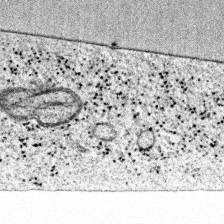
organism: Human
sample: HeLa cells